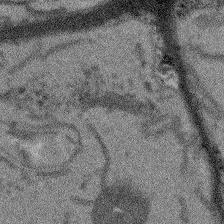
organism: Arabidopsis thaliana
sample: Root tip